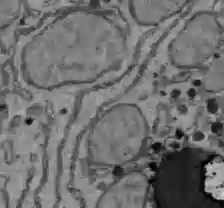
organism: C57BL Mouse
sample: Liver